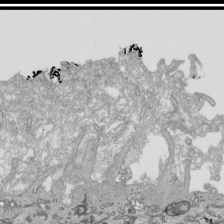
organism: Human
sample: Mitochondria in HCT116 cells